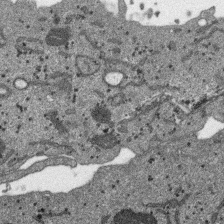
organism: Human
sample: Lung epithelial cells infected with SARS-CoV-2